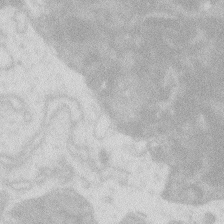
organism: Zebrafish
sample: Macrophage